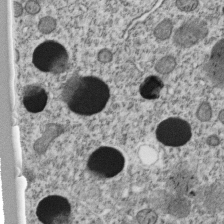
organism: C. elegans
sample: C. elegans embryo early stage